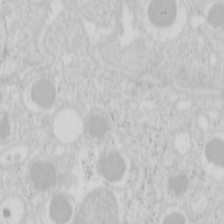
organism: Mouse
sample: Pancreas